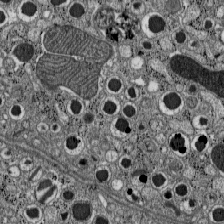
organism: C57BL Mouse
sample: Pancreatic islet